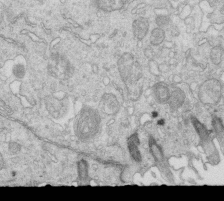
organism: Mouse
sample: Multiciliated cells